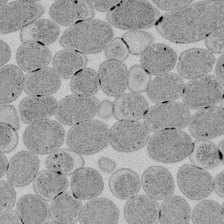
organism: E. coli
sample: Bacterial nucleoid